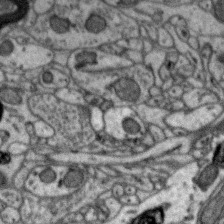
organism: Zebra finch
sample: Brain